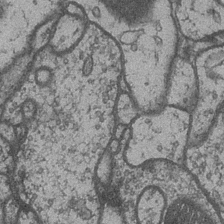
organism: Drosophila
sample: Optic medulla